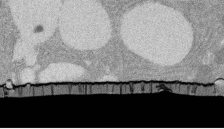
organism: Rat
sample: Salivary granule